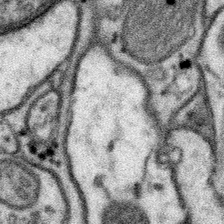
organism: Mouse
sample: Somatosensory cortex neuropil